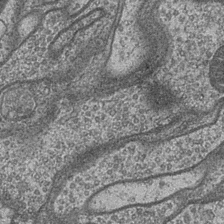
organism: Drosophila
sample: Optic medulla